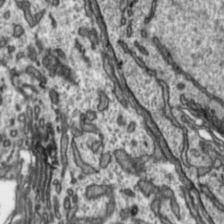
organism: Toxoplasma gondii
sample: Parasites in a vacuole inside a host cell